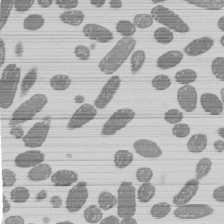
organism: E. coli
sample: Bacterial nucleoid